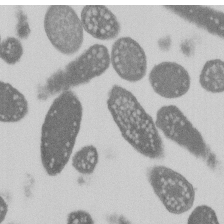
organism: E. coli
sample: Bacterial nucleoid